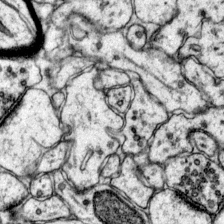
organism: Mouse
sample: Primary visual cortex